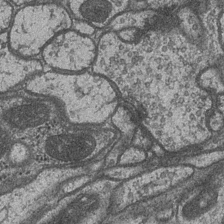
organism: Drosophila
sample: Optic medulla